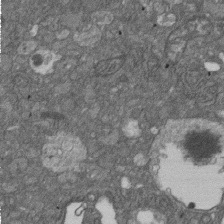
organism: Drosophila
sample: Nephrocyte